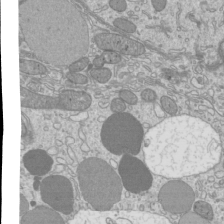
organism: Mouse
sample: Cilia; mouse epididymis